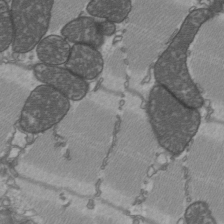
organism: C57BL Mouse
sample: Heart